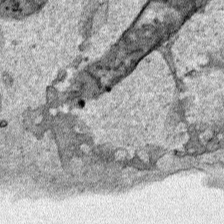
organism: Human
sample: Mitochondria in HCT116 cells